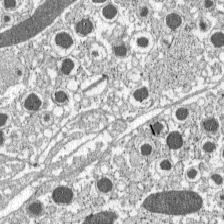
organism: C57BL Mouse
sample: Pancreatic islet